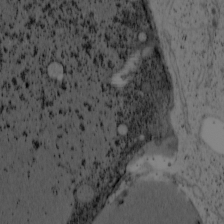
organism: African green monkey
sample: COS-7 cells